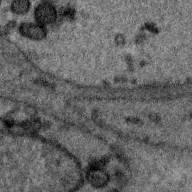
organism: Zebra finch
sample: Brain